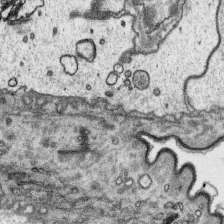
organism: Platynereis dumerilii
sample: Parapodia